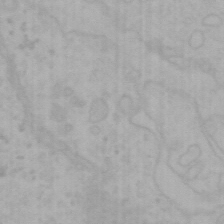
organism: Mouse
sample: Choroid plexus